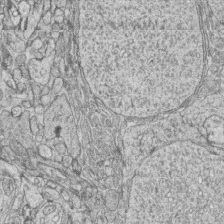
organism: Zebrafish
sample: synaptic ribbons in rod cells and cone cells